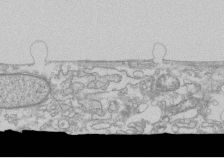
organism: Human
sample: CRL-1474